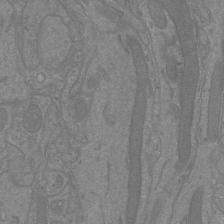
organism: Mouse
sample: Cortical neurons